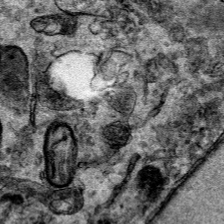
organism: Human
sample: Mitochondria in HCT116 cells